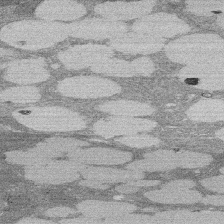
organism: Rat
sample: Salivary granule